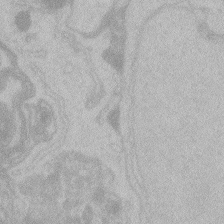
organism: Zebrafish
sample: Macrophage infected with Toxoplasma gondii